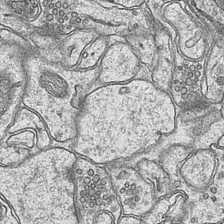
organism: Mouse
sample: CA1 Hippocampus